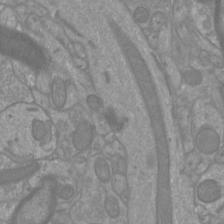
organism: Mouse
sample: Cortical neurons